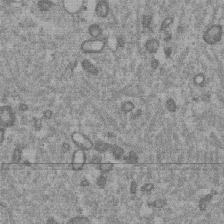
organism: Mouse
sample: Dividing mouse embryo 1 cell stage